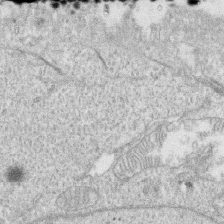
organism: Human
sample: HeLa cell HIV synapse